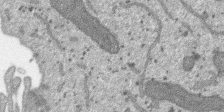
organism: Human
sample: Lung epithelial cells infected with SARS-CoV-2